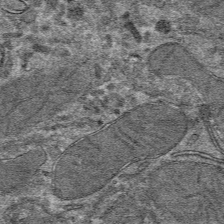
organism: Mouse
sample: Mouse hepatocytes